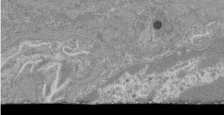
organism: Mouse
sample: Glomerulus